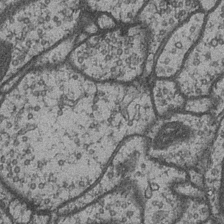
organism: Drosophila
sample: Optic medulla